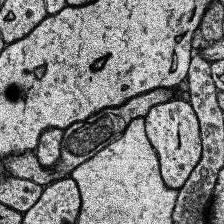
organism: Human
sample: Temporal Lobe